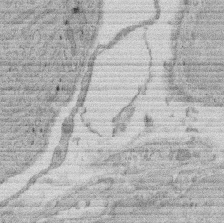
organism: Rat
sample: Salivary granule